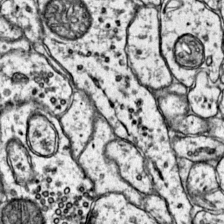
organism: Mouse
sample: Primary visual cortex